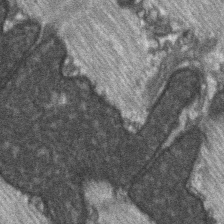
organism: C57BL Mouse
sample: Soleus